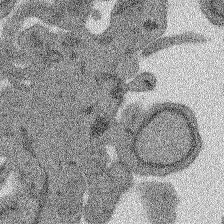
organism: Human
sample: HeLa cells